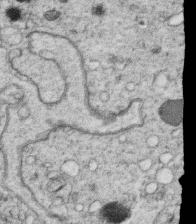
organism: C. elegans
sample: C. elegans oocyte; sperm cells